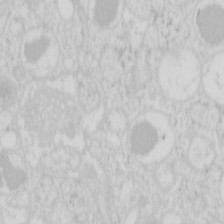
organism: Mouse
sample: Pancreas